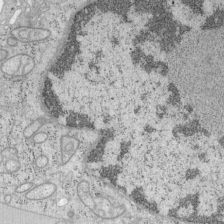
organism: Mouse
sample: OT-I killer T cells with ID8 ovarian cancer cells